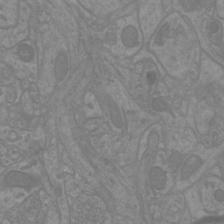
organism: Mouse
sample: Cortical neurons